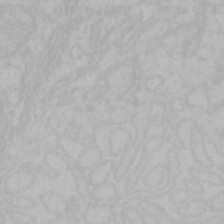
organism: Mouse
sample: Choroid plexus